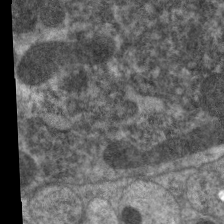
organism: C. elegans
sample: Pharynx